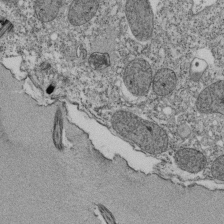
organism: Tetrahymena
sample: Cilia in tetrahymena